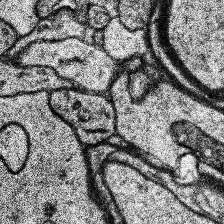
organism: Human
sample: Temporal Lobe